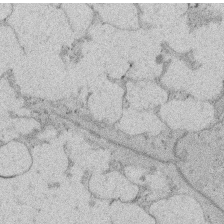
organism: Rat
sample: Salivary granule